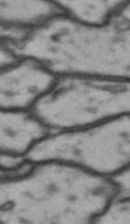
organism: Drosophila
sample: Brain